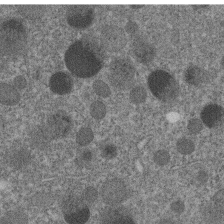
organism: C. elegans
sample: C. elegans embryo early stage